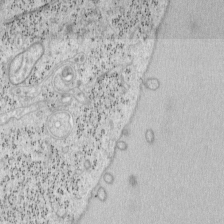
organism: Mouse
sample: OT-I killer T cells with ID8 ovarian cancer cells